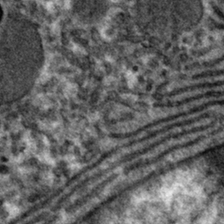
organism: Mouse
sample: Mouse hepatocytes